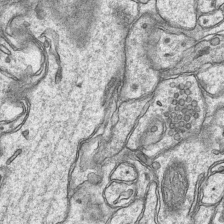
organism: Mouse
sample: CA1 Hippocampus